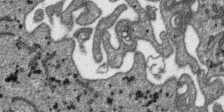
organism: Human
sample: Lung epithelial cells infected with SARS-CoV-2